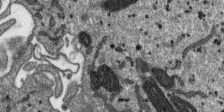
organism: Human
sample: Lung epithelial cells infected with SARS-CoV-2